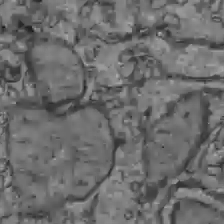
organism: C57BL Mouse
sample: Liver